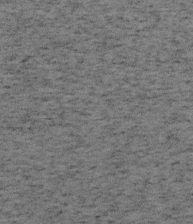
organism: Mouse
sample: OT-I killer T cells with ID8 ovarian cancer cells